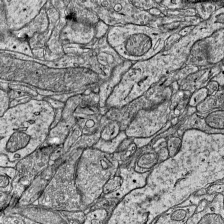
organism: Mouse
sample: Visual Cortex